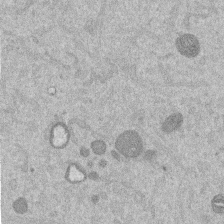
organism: Mouse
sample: Dividing mouse embryo 1 cell stage